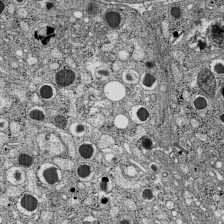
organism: C57BL Mouse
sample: Pancreatic islet